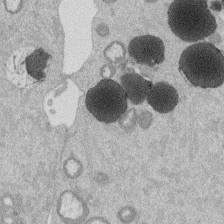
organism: Mouse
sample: Dividing mouse embryo 1 cell stage